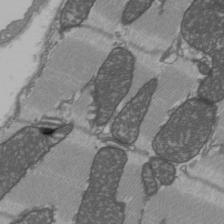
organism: C57BL Mouse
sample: Heart